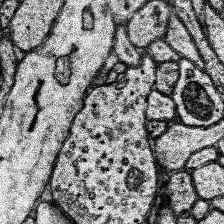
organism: Human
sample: Temporal Lobe